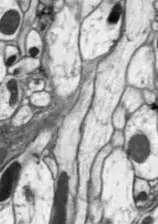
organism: Drosophila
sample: Optic lobe